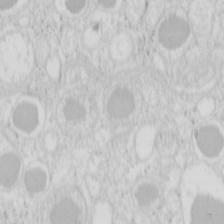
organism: Mouse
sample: Pancreas